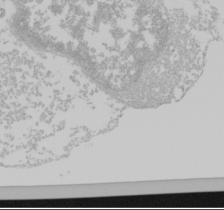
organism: Mouse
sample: Cancer cell death in ED-1 cells